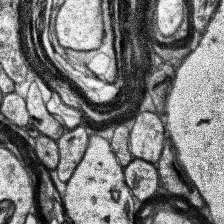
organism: Human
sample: Temporal Lobe